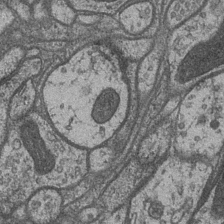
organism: Drosophila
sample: Optic medulla